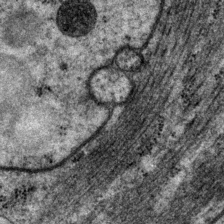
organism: P. pacificus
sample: Pharynx